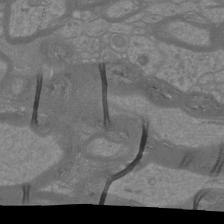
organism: Mouse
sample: Cortical neurons